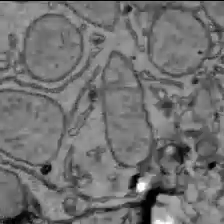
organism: C57BL Mouse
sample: Liver